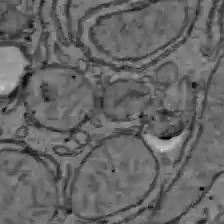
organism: C57BL Mouse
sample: Liver